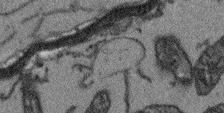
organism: Arabidopsis thaliana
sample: Root tip